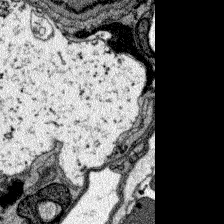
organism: Zebrafish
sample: Larval olfactory bulb